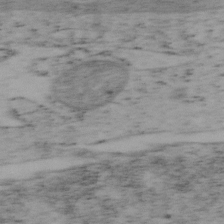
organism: Mouse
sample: OT-I killer T cells with ID8 ovarian cancer cells